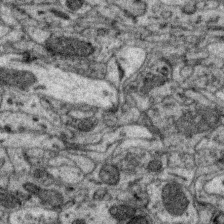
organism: Zebra finch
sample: Brain